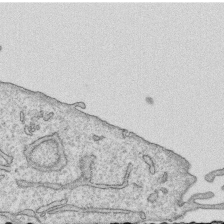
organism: Human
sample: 1205lu cells